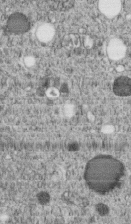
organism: C. elegans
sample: C. elegans embryo early stage